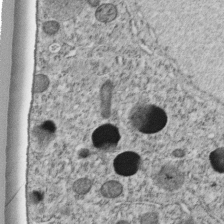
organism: C. elegans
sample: C. elegans embryo early stage